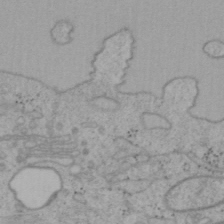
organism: Human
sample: HeLa cells